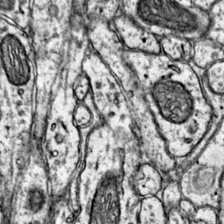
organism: Mouse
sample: Primary visual cortex